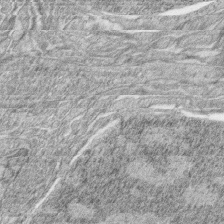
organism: Zebrafish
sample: synaptic ribbons in rod cells and cone cells